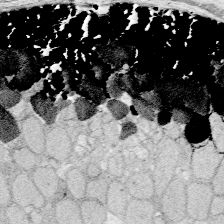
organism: Zebrafish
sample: Whole-Brain